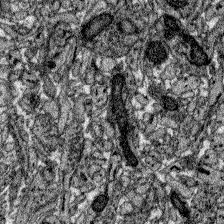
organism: Zebrafish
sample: Larval olfactory bulb